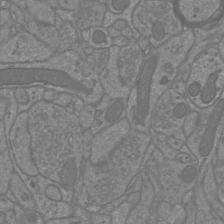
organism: Mouse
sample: Cortical neurons